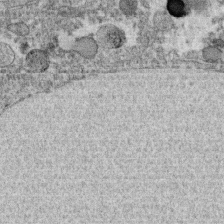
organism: C. elegans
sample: C. elegans oocyte; sperm cells